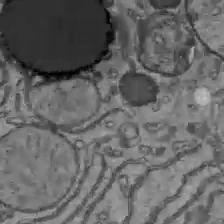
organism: C57BL Mouse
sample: Liver